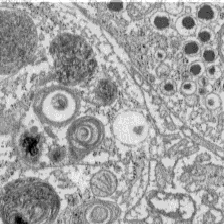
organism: C57BL Mouse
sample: Pancreatic islet